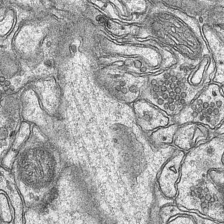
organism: Mouse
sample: CA1 Hippocampus